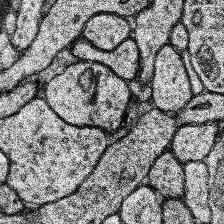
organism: Human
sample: Temporal Lobe